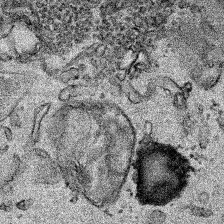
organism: Human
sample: Mitochondria in HCT116 cells